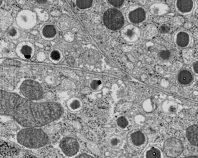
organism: C57BL Mouse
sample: Pancreatic islet